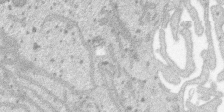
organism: Human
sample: Lung epithelial cells infected with SARS-CoV-2